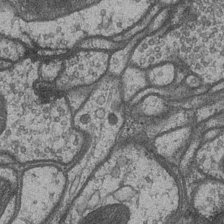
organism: Drosophila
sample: Optic medulla